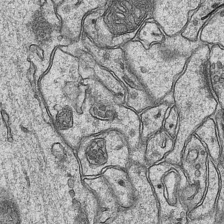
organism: Mouse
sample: CA1 Hippocampus